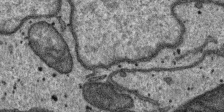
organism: Human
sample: Lung epithelial cells, uninfected (mock) control